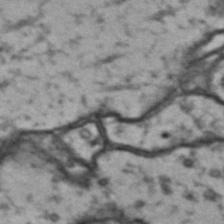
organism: Drosophila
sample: Brain